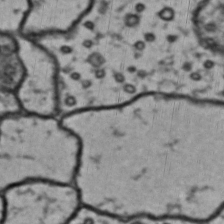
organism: Drosophila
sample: Brain